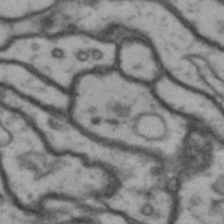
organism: Drosophila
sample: Brain